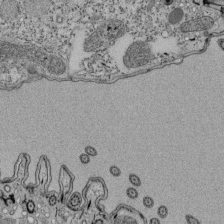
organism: Tetrahymena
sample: Cilia in tetrahymena